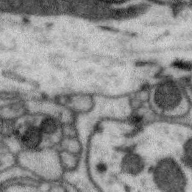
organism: Zebra finch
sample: Brain